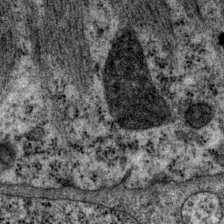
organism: P. pacificus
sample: Pharynx